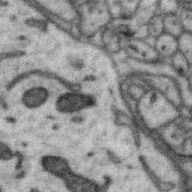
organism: Zebra finch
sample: Brain